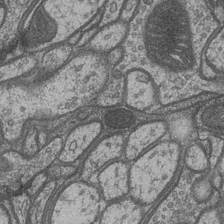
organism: Drosophila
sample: Optic medulla